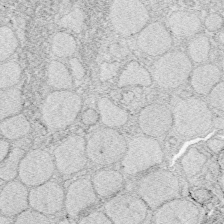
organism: Zebrafish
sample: Whole-Brain